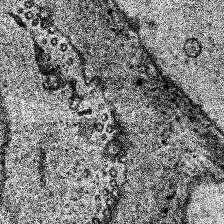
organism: Human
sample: Temporal Lobe